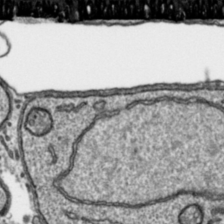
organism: Toxoplasma gondii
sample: Parasites in a vacuole inside a host cell